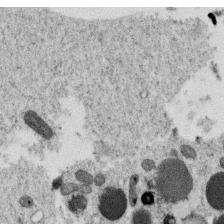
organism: C. elegans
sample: C. elegans oocyte; sperm cells